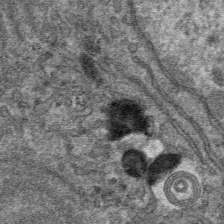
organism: Mouse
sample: Mouse hepatocytes